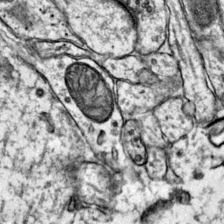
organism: Mouse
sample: Primary visual cortex